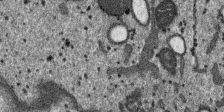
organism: Human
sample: Lung epithelial cells infected with SARS-CoV-2